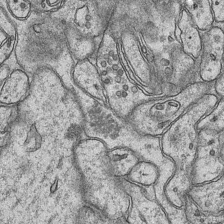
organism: Mouse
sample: CA1 Hippocampus